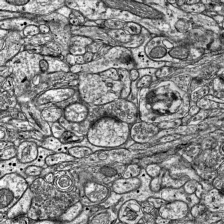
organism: Mouse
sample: Visual Cortex